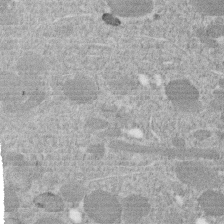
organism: C. elegans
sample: C. elegans embryo early stage